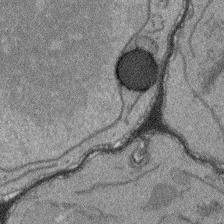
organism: Arabidopsis thaliana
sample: Root tip